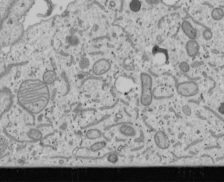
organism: Human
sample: Mitochondria in U2OS cells